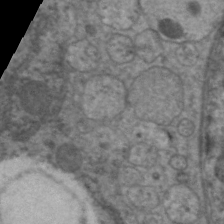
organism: C. elegans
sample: Pharynx